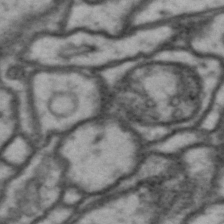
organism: Drosophila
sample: Brain